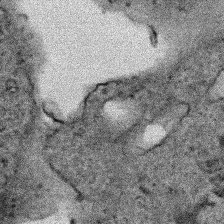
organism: Human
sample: Mitochondria in HCT116 cells